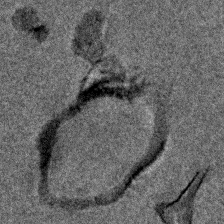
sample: Trachea